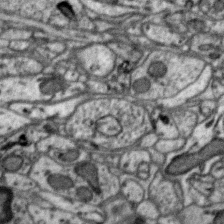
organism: Zebra finch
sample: Brain